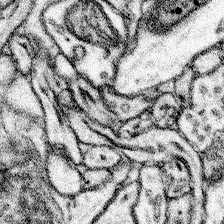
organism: Mouse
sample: Somatosensory cortex neuropil